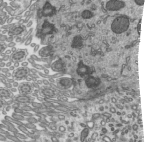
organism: Mouse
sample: Mouse epididymis efferent ductule cilia